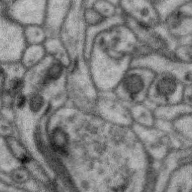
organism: Zebra finch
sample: Brain